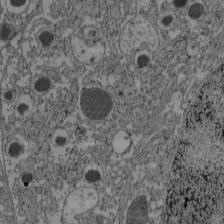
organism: C57BL Mouse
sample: Pancreatic islet